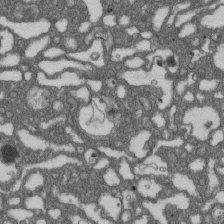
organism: Drosophila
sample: Nephrocyte